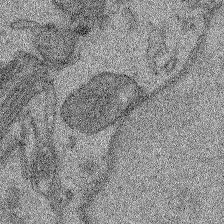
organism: Human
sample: HeLa cells